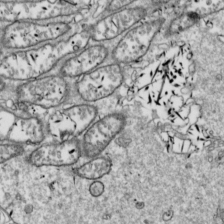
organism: Drosophila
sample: Cell division; meiosis; drosophila spermatocytes